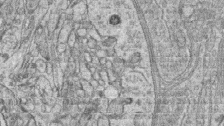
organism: Zebrafish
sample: synaptic ribbons in rod cells and cone cells